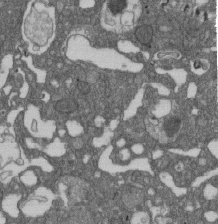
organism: Drosophila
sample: Nephrocyte